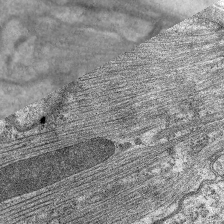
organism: C. elegans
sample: Pharynx